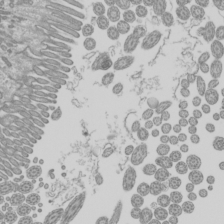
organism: Mouse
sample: Cilia; mouse epididymis